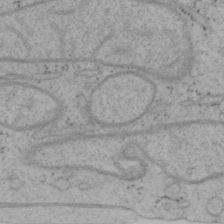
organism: Human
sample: HeLa cells